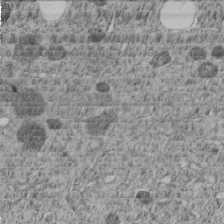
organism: C. elegans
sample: C. elegans embryo early stage